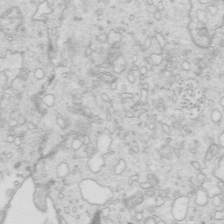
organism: Mouse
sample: Multiciliated cells